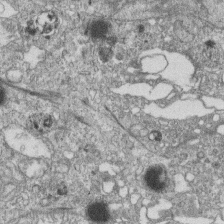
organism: Human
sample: HeLa cell HIV synapse